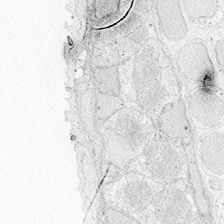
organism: Zebrafish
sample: Whole-Brain